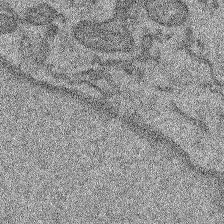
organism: Human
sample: HeLa cells